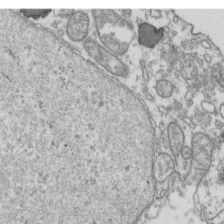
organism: Human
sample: Activated Jurkat CD4+ T cells